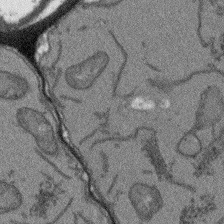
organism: Arabidopsis thaliana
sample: Root tip